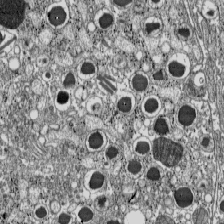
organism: C57BL Mouse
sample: Pancreatic islet